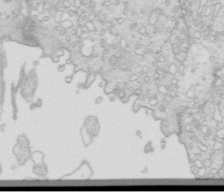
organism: Mouse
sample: Multiciliated cells